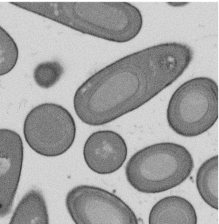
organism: B. subtilis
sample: Bacterial spore